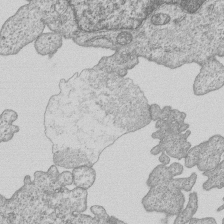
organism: Human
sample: MDA-MB-231 cells